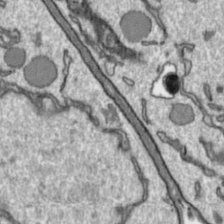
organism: Toxoplasma gondii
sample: Parasites in a vacuole inside a host cell